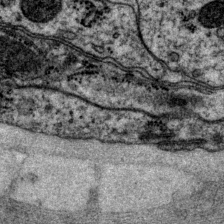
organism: P. pacificus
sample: Pharynx